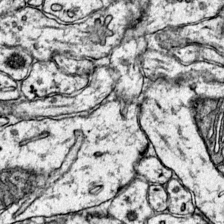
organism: Mouse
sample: Primary visual cortex